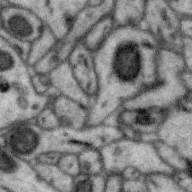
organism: Zebra finch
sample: Brain